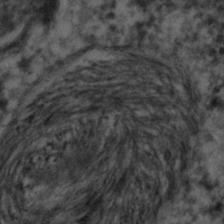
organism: C. elegans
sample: C. elegans embryo